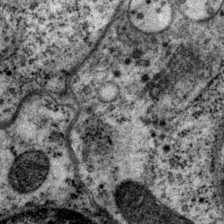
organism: P. pacificus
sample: Pharynx